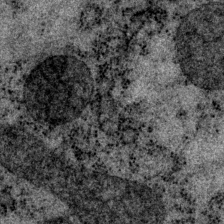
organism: P. pacificus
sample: Pharynx